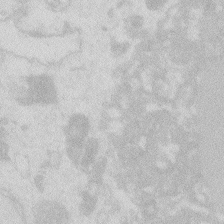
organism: Zebrafish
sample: Macrophage